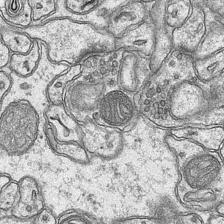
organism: Mouse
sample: CA1 Hippocampus